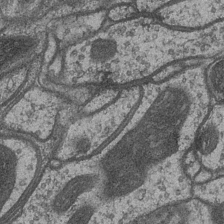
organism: Drosophila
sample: Optic medulla